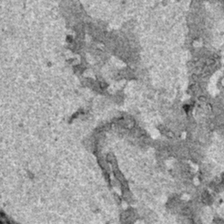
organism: Human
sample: Mitochondria in HCT116 cells